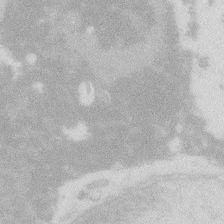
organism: Zebrafish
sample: Macrophage